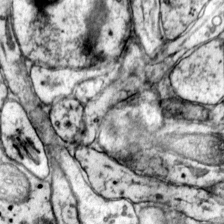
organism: Mouse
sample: Primary visual cortex